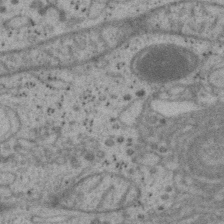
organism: Human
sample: HeLa cells